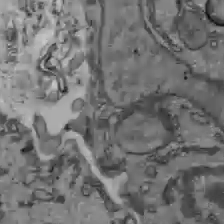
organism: C57BL Mouse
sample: Liver